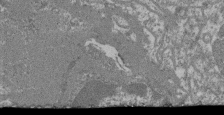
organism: Mouse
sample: Glomerulus